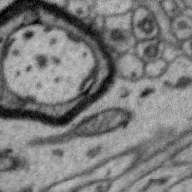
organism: Zebra finch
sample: Brain